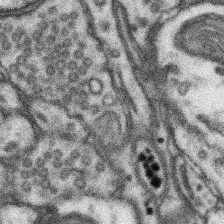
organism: Mouse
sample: Somatosensory cortex neuropil